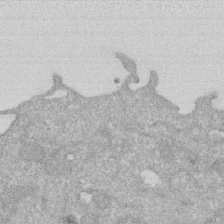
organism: Human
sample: HIV infected U937 cells